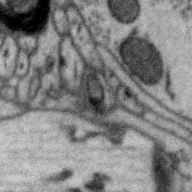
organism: Zebra finch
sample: Brain